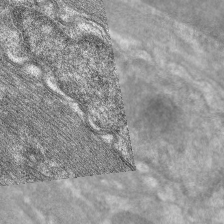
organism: C. elegans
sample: Pharynx